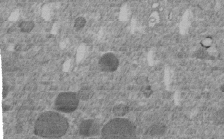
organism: C. elegans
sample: C. elegans embryo early stage